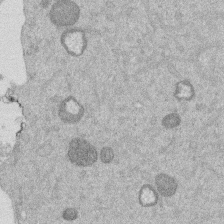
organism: Mouse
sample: Dividing mouse embryo 1 cell stage